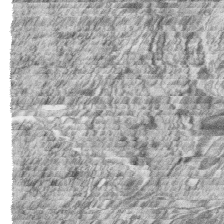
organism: Zebrafish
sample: synaptic ribbons in rod cells and cone cells